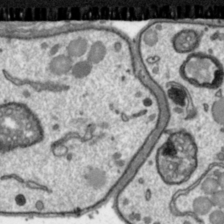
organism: Toxoplasma gondii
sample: Parasites in a vacuole inside a host cell